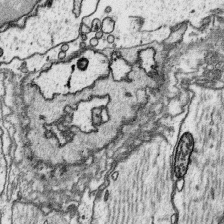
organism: Platynereis dumerilii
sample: Parapodia